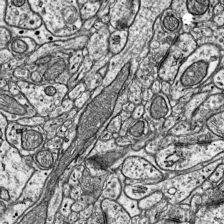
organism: Mouse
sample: Visual Cortex